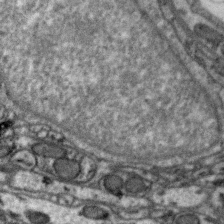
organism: Zebra finch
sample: Brain